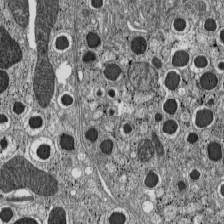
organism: C57BL Mouse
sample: Pancreatic islet